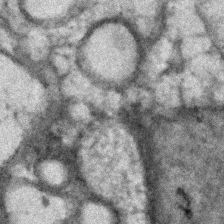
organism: Human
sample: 1205lu cells